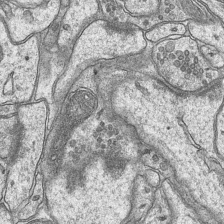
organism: Mouse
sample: CA1 Hippocampus